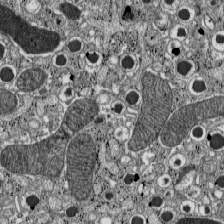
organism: C57BL Mouse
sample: Pancreatic islet